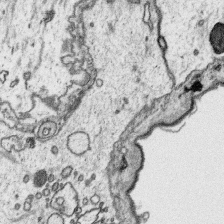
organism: Platynereis dumerilii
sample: Parapodia